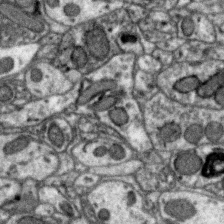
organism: Zebra finch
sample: Brain